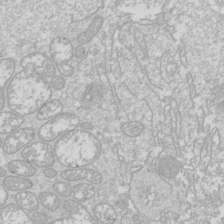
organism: Drosophila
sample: Cell division; meiosis; drosophila spermatocytes